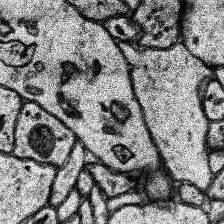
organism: Human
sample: Temporal Lobe